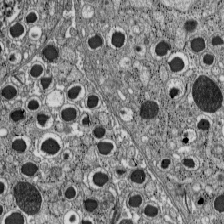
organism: C57BL Mouse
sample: Pancreatic islet